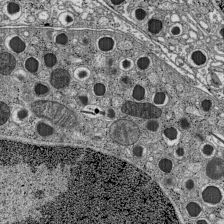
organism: C57BL Mouse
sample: Pancreatic islet